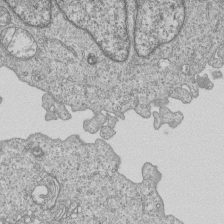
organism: Human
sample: MDA-MB-231 cells